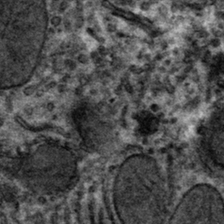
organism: Mouse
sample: Mouse hepatocytes